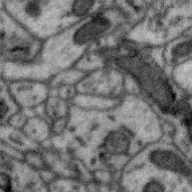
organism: Zebra finch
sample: Brain